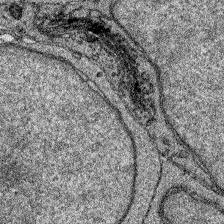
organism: Zebrafish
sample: Larval olfactory bulb